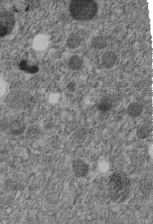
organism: C. elegans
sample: C. elegans embryo early stage